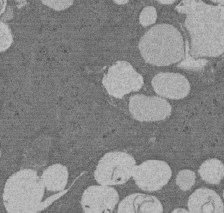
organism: Rat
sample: Salivary granule